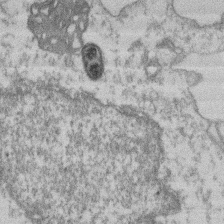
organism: Mouse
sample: T cell stromal cell synapse